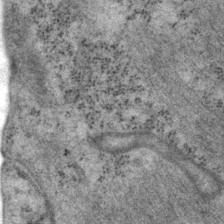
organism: P. pacificus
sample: Pharynx